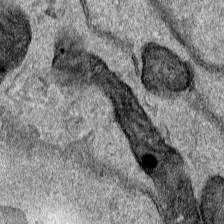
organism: Human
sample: Mitochondria in HCT116 cells